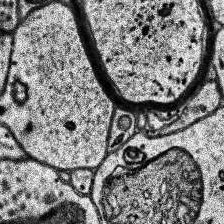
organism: Human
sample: Temporal Lobe